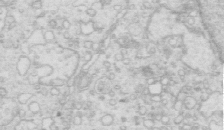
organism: Mouse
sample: Multiciliated cells